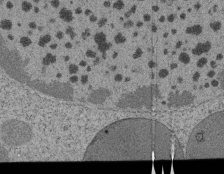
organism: Tetrahymena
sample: Cilia in tetrahymena